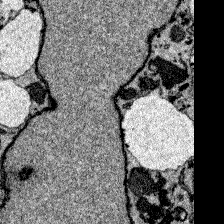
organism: Zebrafish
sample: Larval olfactory bulb